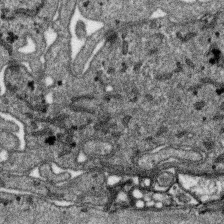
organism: Human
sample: Lung epithelial cells infected with SARS-CoV-2